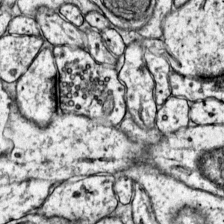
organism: Mouse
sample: Primary visual cortex